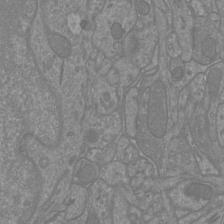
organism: Mouse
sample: Cortical neurons